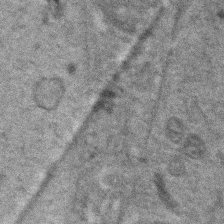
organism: Zebrafish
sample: Zebrafish embryo